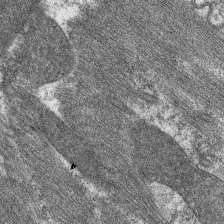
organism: C. elegans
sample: Pharynx